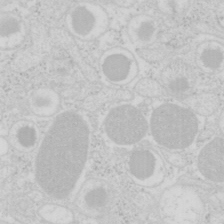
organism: Mouse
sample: Pancreas